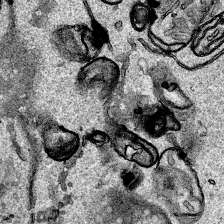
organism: Human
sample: Mitochondria in HCT116 cells